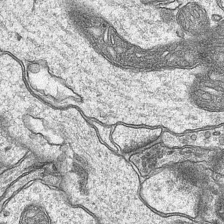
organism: Mouse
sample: CA1 Hippocampus